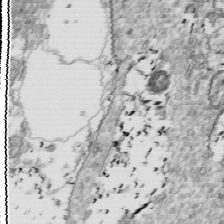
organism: Drosophila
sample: Cell division; meiosis; drosophila spermatocytes